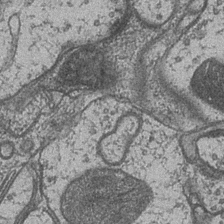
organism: Drosophila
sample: Optic medulla